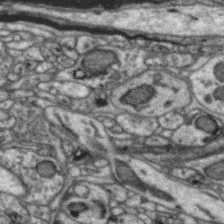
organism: Zebra finch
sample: Brain